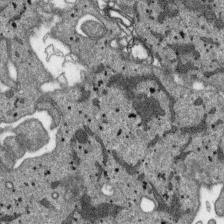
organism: Human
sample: Lung epithelial cells, uninfected (mock) control